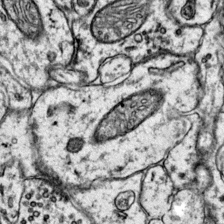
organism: Mouse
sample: Primary visual cortex